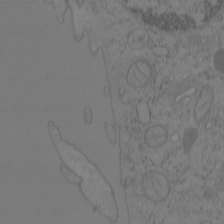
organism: Human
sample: HeLa cells